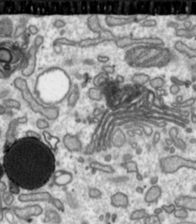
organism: Toxoplasma gondii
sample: Parasites in a vacuole inside a host cell